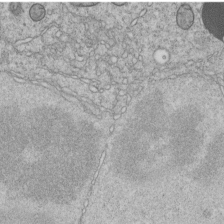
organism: C. elegans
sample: C. elegans embryo early stage